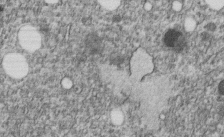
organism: C. elegans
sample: C. elegans embryo early stage